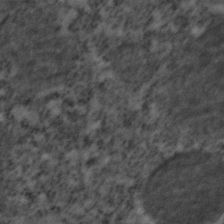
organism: C. elegans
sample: C. elegans embryo